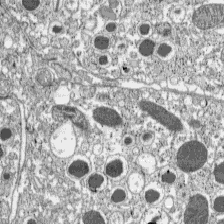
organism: C57BL Mouse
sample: Pancreatic islet